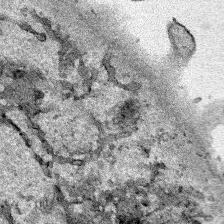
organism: Human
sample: Mitochondria in HCT116 cells